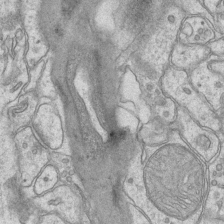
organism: Mouse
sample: CA1 Hippocampus